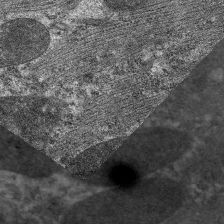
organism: C. elegans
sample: Pharynx